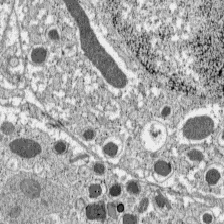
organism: C57BL Mouse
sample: Pancreatic islet